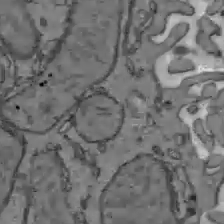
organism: C57BL Mouse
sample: Liver